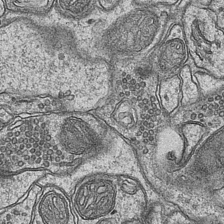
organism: Mouse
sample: CA1 Hippocampus